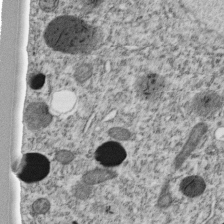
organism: C. elegans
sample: C. elegans embryo early stage